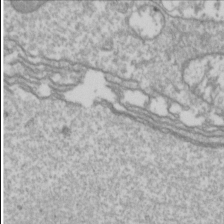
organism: Drosophila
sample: Cell division; meiosis; drosophila spermatocytes